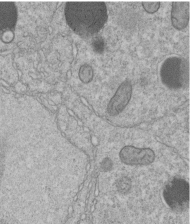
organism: C. elegans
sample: C. elegans embryo early stage